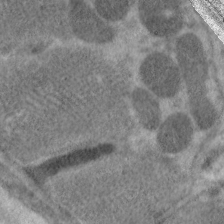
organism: C. elegans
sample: Pharynx